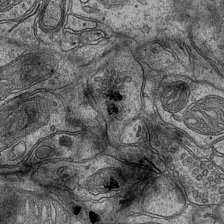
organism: Mouse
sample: CA1 Hippocampus